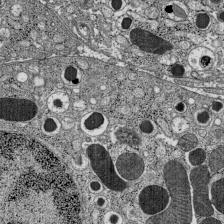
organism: C57BL Mouse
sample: Pancreatic islet